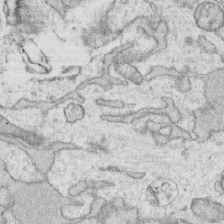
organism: Human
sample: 1205lu cells